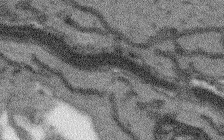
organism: Arabidopsis thaliana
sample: Root tip